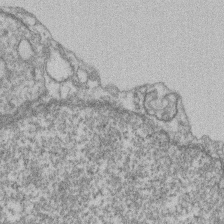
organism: Mouse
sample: T cell stromal cell synapse